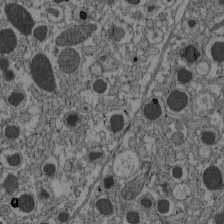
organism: C57BL Mouse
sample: Pancreatic islet